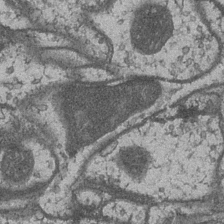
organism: Drosophila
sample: Optic medulla